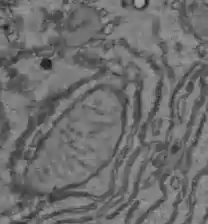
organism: C57BL Mouse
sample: Liver